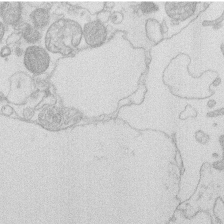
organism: Human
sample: Macrophage cells